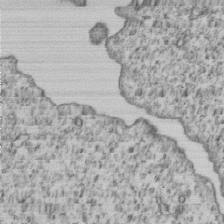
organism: Human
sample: MDA-MB-231 cells